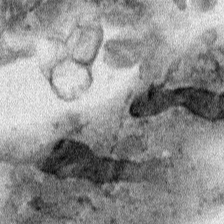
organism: Human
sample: Mitochondria in HCT116 cells